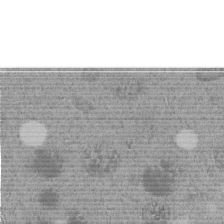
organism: C. elegans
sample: C. elegans embryo early stage